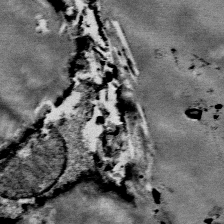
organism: Mouse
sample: Mouse Salivary gland